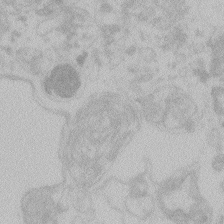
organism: Zebrafish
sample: Macrophage infected with Toxoplasma gondii